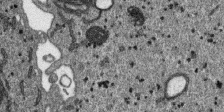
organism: Human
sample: Lung epithelial cells infected with SARS-CoV-2